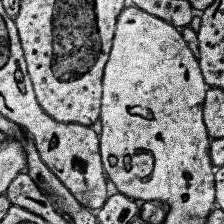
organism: Human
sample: Temporal Lobe